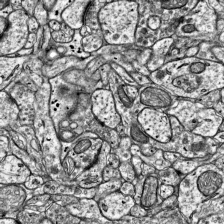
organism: Mouse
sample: Visual Cortex